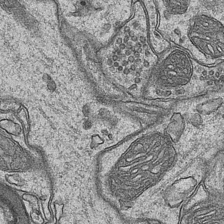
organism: Mouse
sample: CA1 Hippocampus